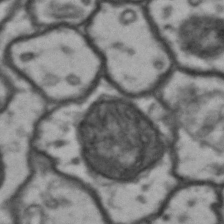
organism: Drosophila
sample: Brain